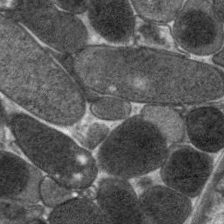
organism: C. elegans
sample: Pharynx